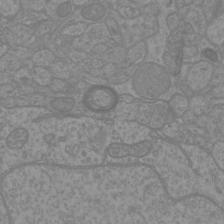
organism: Mouse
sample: Cortical neurons